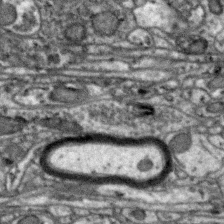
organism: Zebra finch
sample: Brain